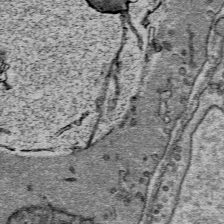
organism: Mouse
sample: Mouse Salivary gland